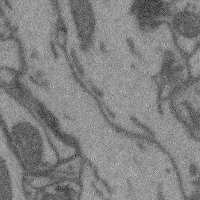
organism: Mouse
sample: Cerebral cortex